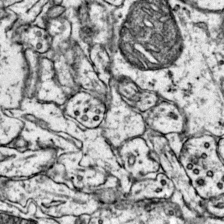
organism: Mouse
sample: Primary visual cortex